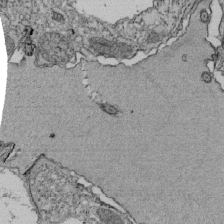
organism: Tetrahymena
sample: Cilia in tetrahymena